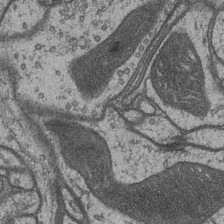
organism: Drosophila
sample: Optic medulla